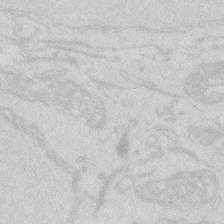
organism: Zebrafish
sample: Macrophage